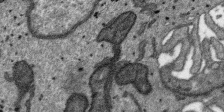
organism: Human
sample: Lung epithelial cells, uninfected (mock) control